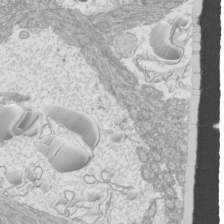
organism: Mouse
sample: Cilia; mouse epididymis